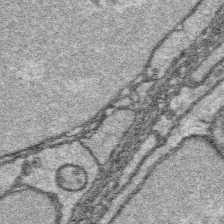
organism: Platynereis dumerilii